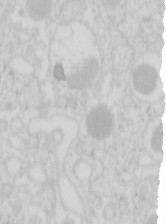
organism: Mouse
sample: Pancreas